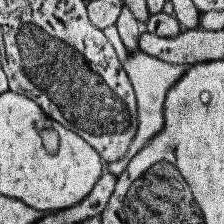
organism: Human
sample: Temporal Lobe